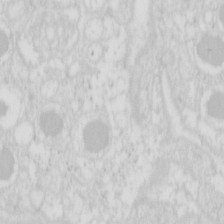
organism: Mouse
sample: Pancreas